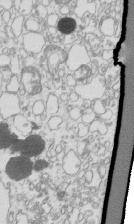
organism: Mouse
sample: Macrophages